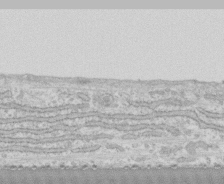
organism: Human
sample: CRL-1474